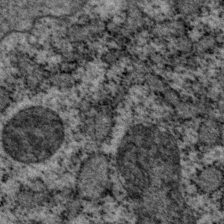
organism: P. pacificus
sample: Pharynx